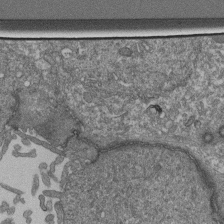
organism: Human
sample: Retinal organoid Rod and Cone cells